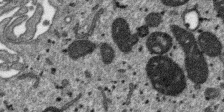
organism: Human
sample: Lung epithelial cells infected with SARS-CoV-2